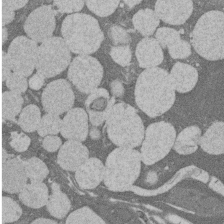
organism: Rat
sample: Salivary granule